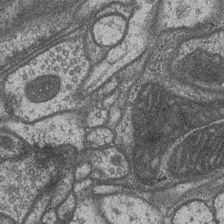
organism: Drosophila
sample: Optic medulla